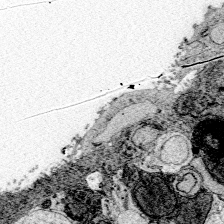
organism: Zebrafish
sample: Whole-Brain